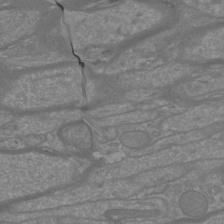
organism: Mouse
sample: Cortical neurons